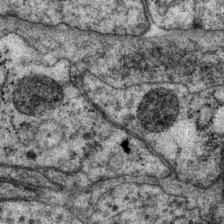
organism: P. pacificus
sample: Pharynx